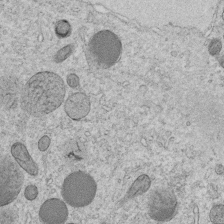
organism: C. elegans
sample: C. elegans embryo early stage